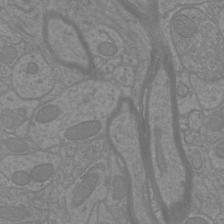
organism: Mouse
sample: Cortical neurons